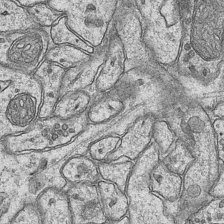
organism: Mouse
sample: CA1 Hippocampus